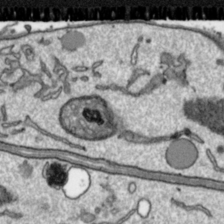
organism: Toxoplasma gondii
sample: Parasites in a vacuole inside a host cell